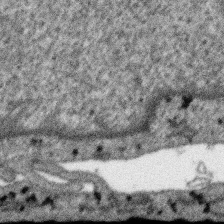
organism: Human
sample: Lung epithelial cells infected with SARS-CoV-2